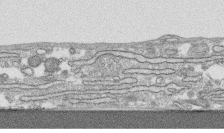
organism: Human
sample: CRL-1474